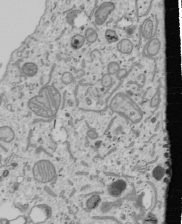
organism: Human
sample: Mitochondria in U2OS cells